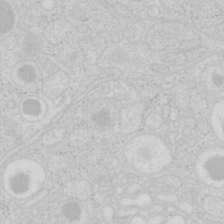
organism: Mouse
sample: Pancreas